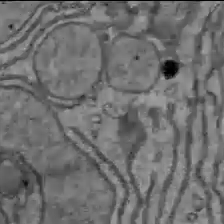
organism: C57BL Mouse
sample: Liver